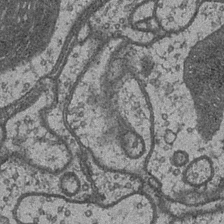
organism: Drosophila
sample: Optic medulla